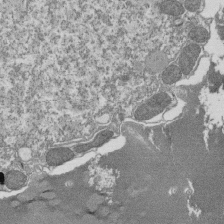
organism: Tetrahymena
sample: Cilia in tetrahymena